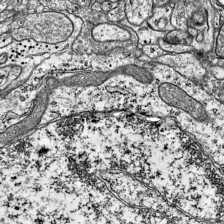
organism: Mouse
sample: Visual Cortex